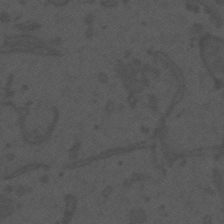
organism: Mouse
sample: Suprachiasmatic nucleus